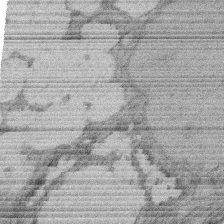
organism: Rat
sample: Salivary granule